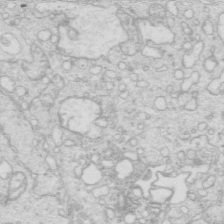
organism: Mouse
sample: Multiciliated cells